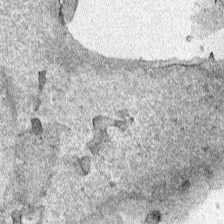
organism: Human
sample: Mitochondria in HCT116 cells